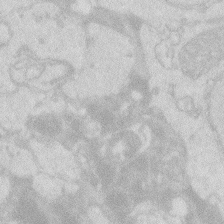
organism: Zebrafish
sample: Macrophage